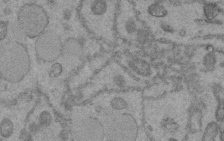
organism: C. elegans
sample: C. elegans embryo early stage